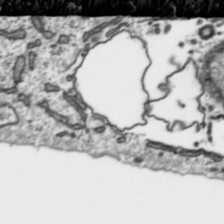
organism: Toxoplasma gondii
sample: Parasites in a vacuole inside a host cell